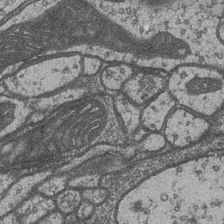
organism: Drosophila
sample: Optic medulla